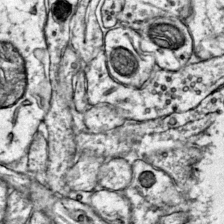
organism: Mouse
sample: Primary visual cortex